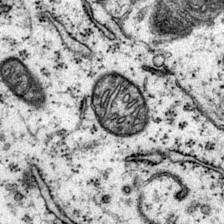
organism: Mouse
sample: Primary visual cortex